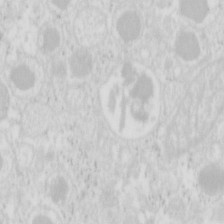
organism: Mouse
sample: Pancreas